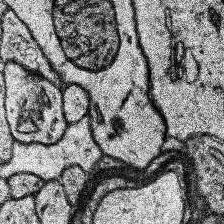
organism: Human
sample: Temporal Lobe